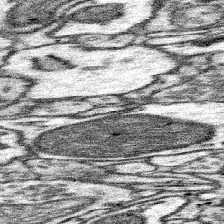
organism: Mouse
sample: Somatosensory cortex neuropil